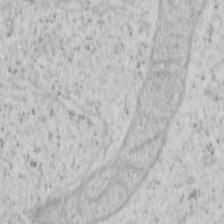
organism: Human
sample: HeLa cells